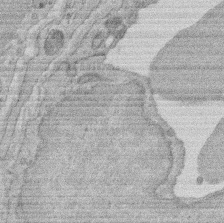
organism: Rat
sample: Salivary granule